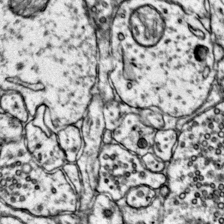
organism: Mouse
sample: Primary visual cortex